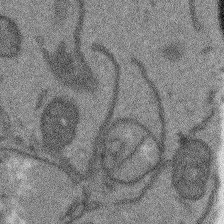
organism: Arabidopsis thaliana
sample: Root tip